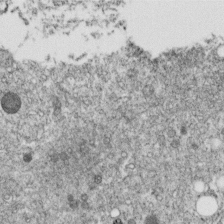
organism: C. elegans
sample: C. elegans embryo early stage